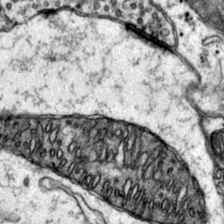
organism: Mouse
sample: Primary visual cortex